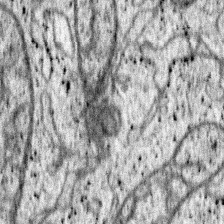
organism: Human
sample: HeLa cells